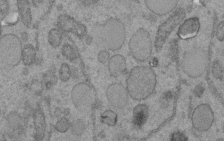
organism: C. elegans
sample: C. elegans embryo early stage